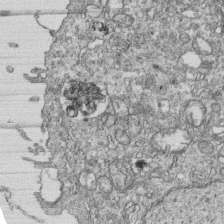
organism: Human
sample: HeLa cell HIV synapse